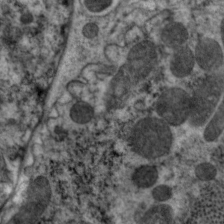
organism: C. elegans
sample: Pharynx